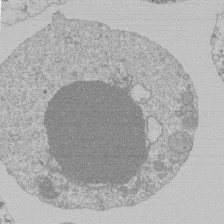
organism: Mouse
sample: Activated Pmel transgenic CD8+ T Cells